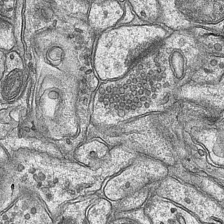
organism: Mouse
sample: CA1 Hippocampus